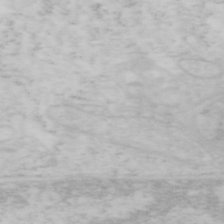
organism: Mouse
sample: OT-I killer T cells with ID8 ovarian cancer cells